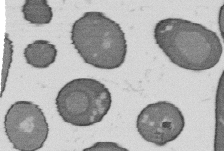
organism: B. subtilis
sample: Bacterial spore